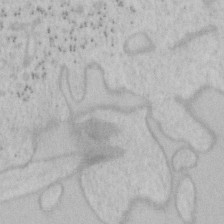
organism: Human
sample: HeLa cells